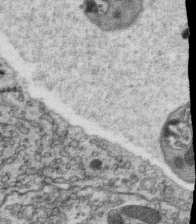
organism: C. elegans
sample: C. elegans oocyte; sperm cells